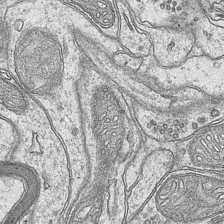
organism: Mouse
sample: CA1 Hippocampus